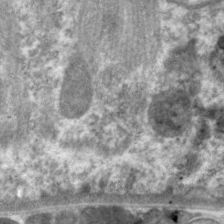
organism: C. elegans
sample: Pharynx